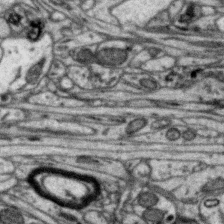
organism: Zebra finch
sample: Brain